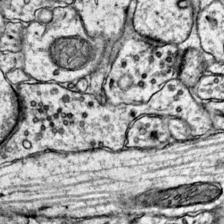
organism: Mouse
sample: Primary visual cortex